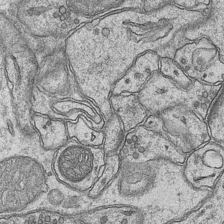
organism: Mouse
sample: CA1 Hippocampus